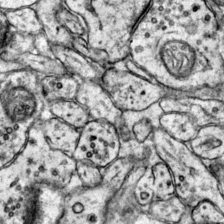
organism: Mouse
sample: Primary visual cortex